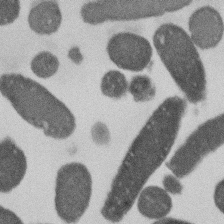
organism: E. coli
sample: Bacterial nucleoid